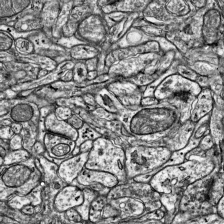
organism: Mouse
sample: Visual Cortex